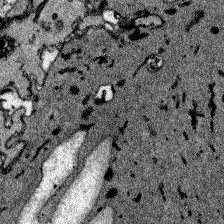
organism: Zebrafish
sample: Larval olfactory bulb